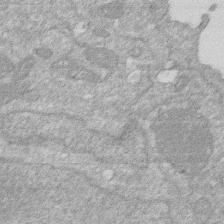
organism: Human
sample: HIV infected U937 cells